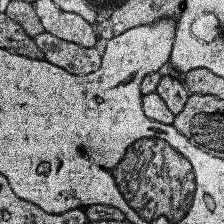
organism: Human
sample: Temporal Lobe